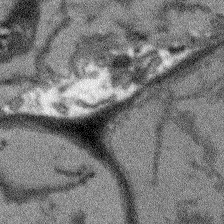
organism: Arabidopsis thaliana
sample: Root tip